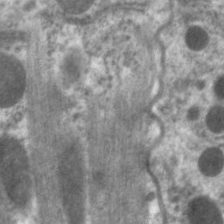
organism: C. elegans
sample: Pharynx